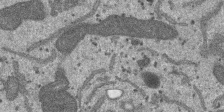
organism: Human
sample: Lung epithelial cells infected with SARS-CoV-2